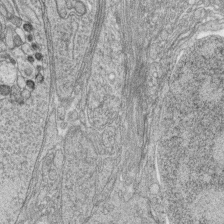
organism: Zebrafish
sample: synaptic ribbons in rod cells and cone cells